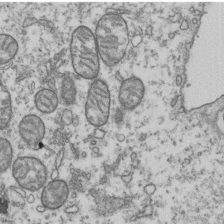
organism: Human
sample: Activated Jurkat CD4+ T cells